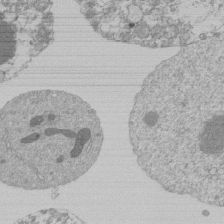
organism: Mouse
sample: Activated Pmel transgenic CD8+ T Cells